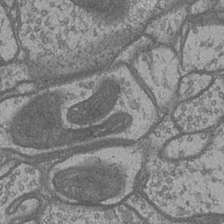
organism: Drosophila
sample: Optic medulla